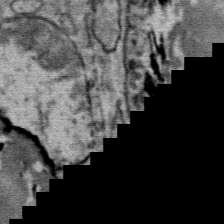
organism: Mouse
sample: Mouse Salivary gland